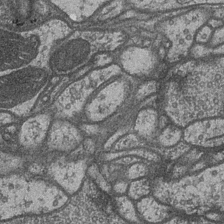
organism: Drosophila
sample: Optic medulla